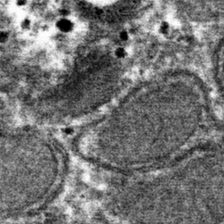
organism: Mouse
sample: Mouse hepatocytes